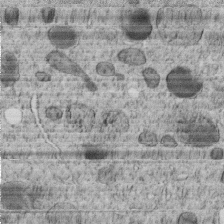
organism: C. elegans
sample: C. elegans embryo early stage